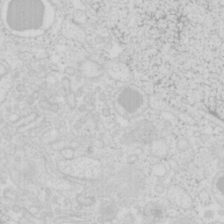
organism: Mouse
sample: Pancreas